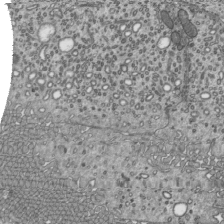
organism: Mouse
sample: Mouse epididymis efferent ductule cilia